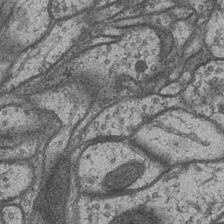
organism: Drosophila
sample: Optic medulla